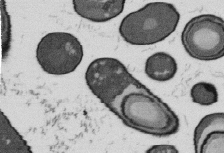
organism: B. subtilis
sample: Bacterial spore